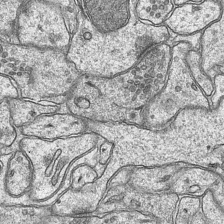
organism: Mouse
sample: CA1 Hippocampus